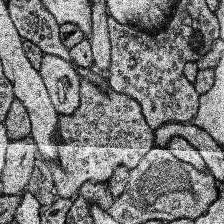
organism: Human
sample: Temporal Lobe